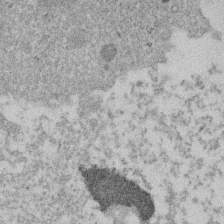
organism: Mouse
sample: Dividing mouse embryo 1 cell stage